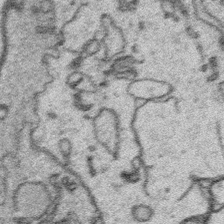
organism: Platynereis dumerilii